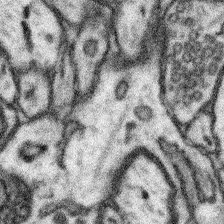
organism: Mouse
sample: Somatosensory cortex neuropil